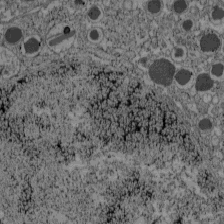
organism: C57BL Mouse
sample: Pancreatic islet